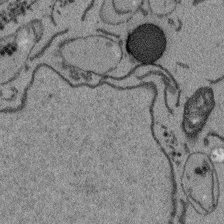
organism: Arabidopsis thaliana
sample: Root tip